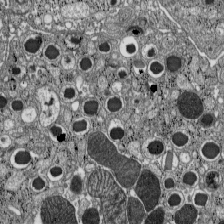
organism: C57BL Mouse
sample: Pancreatic islet